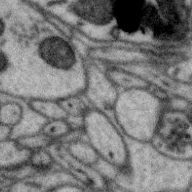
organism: Zebra finch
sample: Brain